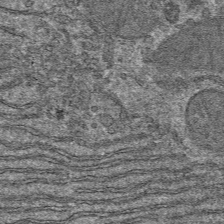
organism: Mouse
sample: Mouse hepatocytes